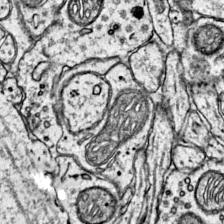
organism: Mouse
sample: Primary visual cortex